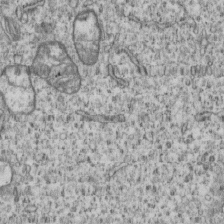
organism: Human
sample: MDA-MB-231 cells